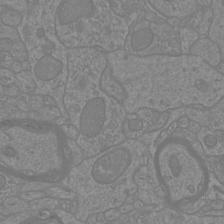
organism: Mouse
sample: Cortical neurons